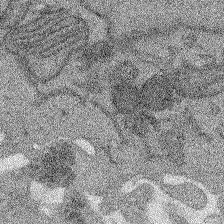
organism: Human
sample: HeLa cells